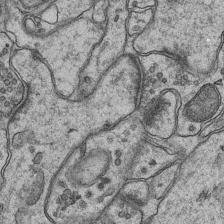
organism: Mouse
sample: CA1 Hippocampus